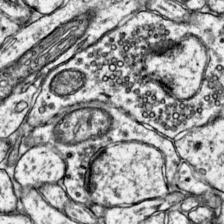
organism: Mouse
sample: Primary visual cortex